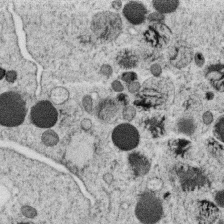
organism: C. elegans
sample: C. elegans oocyte; sperm cells